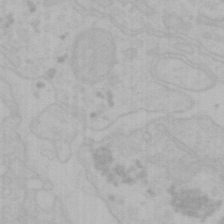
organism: Mouse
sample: Choroid plexus